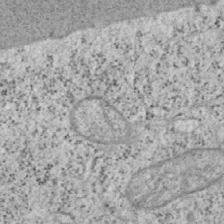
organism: Mouse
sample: OT-I killer T cells with ID8 ovarian cancer cells